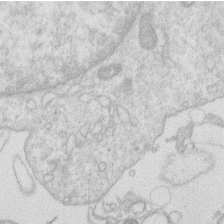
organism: Human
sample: Macrophage cells